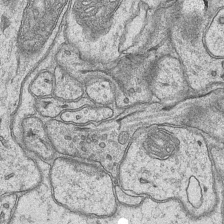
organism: Mouse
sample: CA1 Hippocampus